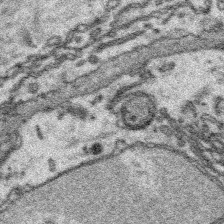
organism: Platynereis dumerilii